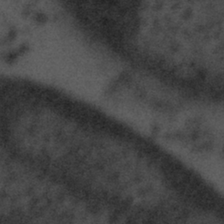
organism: Tuwongella immobilis